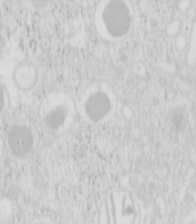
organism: Mouse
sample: Pancreas